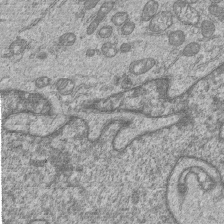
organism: Human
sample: MDA-MB-231 cells